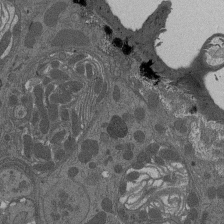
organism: Drosophila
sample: Antenna